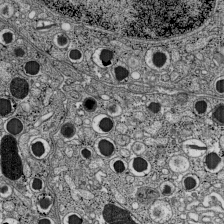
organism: C57BL Mouse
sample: Pancreatic islet